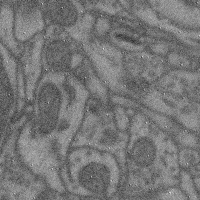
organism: Mouse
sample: Cerebral cortex